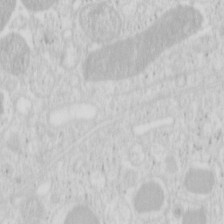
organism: Mouse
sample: Pancreas